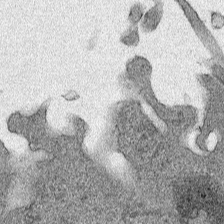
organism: Human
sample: Mitochondria in HCT116 cells